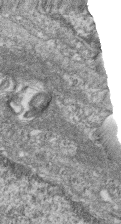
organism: Zebrafish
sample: Cilia; retinal pigment epithelium